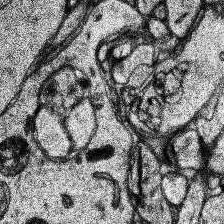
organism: Human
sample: Temporal Lobe